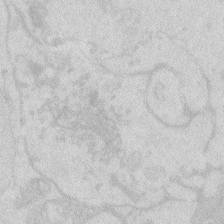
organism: Zebrafish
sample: Macrophage